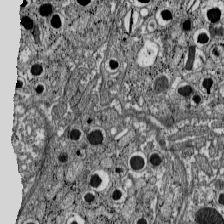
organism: C57BL Mouse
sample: Pancreatic islet